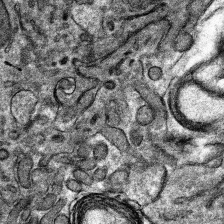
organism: Mouse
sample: Mouse hepatocytes